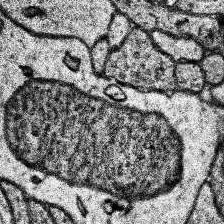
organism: Human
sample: Temporal Lobe